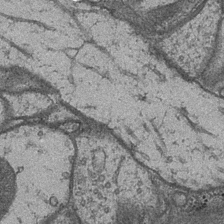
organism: Drosophila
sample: Optic medulla